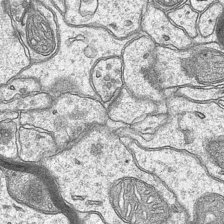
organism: Mouse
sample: CA1 Hippocampus